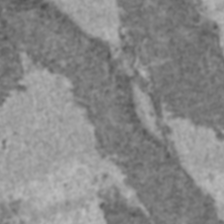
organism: C57BL Mouse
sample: Heart